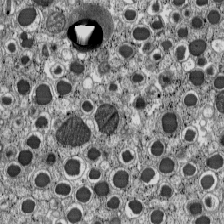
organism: C57BL Mouse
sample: Pancreatic islet